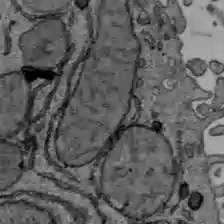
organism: C57BL Mouse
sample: Liver